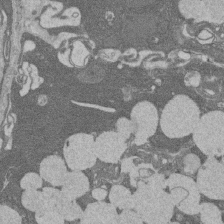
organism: Rat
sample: Salivary granule